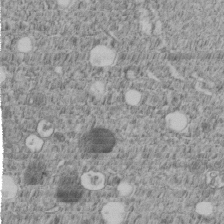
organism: C. elegans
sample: C. elegans embryo early stage